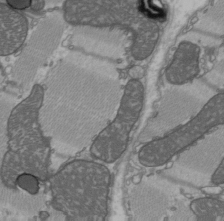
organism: C57BL Mouse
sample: Heart